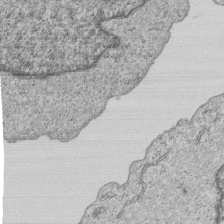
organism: Human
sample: MDA-MB-231 cells